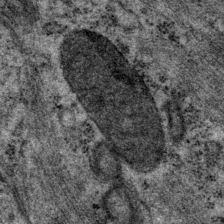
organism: P. pacificus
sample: Pharynx